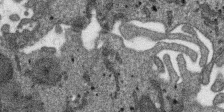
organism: Human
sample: Lung epithelial cells infected with SARS-CoV-2